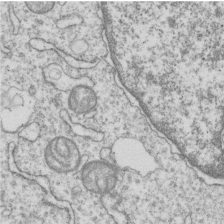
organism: Human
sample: MDA-MB-231 cells